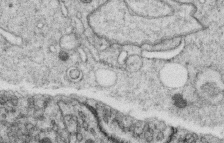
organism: C. elegans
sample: C. elegans oocyte; sperm cells